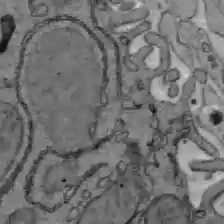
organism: C57BL Mouse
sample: Liver